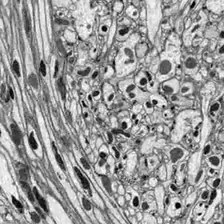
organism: Drosophila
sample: Optic lobe